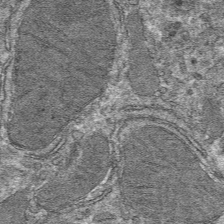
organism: Mouse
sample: Mouse hepatocytes